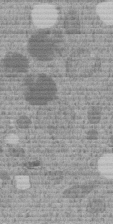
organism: C. elegans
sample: C. elegans embryo early stage